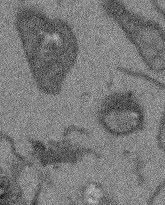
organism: Arabidopsis thaliana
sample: Root tip